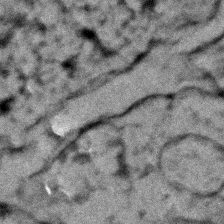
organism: Zebrafish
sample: Zebrafish embryo